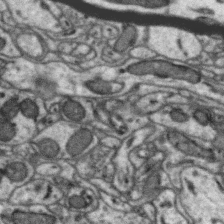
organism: Zebra finch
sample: Brain